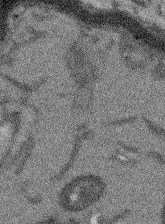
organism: Arabidopsis thaliana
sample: Root tip